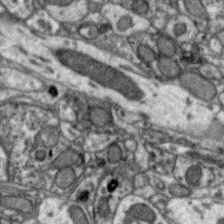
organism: Zebra finch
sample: Brain